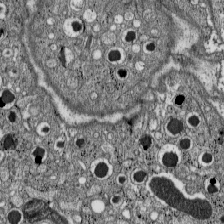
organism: C57BL Mouse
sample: Pancreatic islet